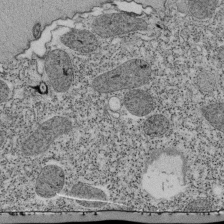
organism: Tetrahymena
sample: Cilia in tetrahymena